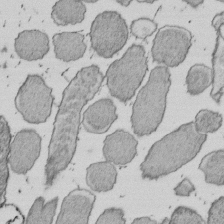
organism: E. coli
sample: Bacterial nucleoid